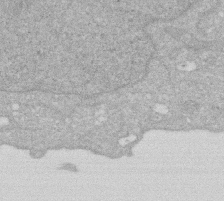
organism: Human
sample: HIV infected U937 cells